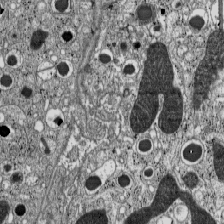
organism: C57BL Mouse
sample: Pancreatic islet